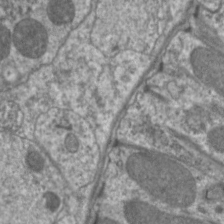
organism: C. elegans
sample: Pharynx